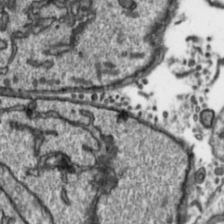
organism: Toxoplasma gondii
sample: Parasites in a vacuole inside a host cell